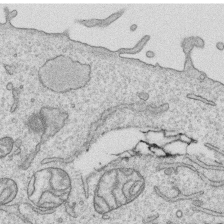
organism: Human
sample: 1205lu cells